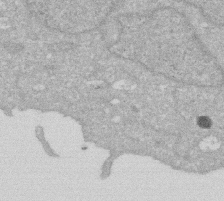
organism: Human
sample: HIV infected U937 cells